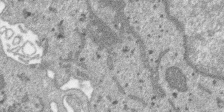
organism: Human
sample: Lung epithelial cells infected with SARS-CoV-2